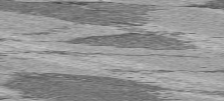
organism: C57BL Mouse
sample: Heart